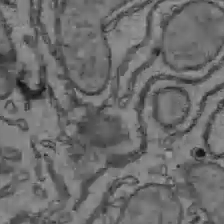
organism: C57BL Mouse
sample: Liver